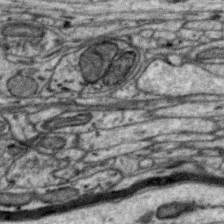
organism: Zebra finch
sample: Brain